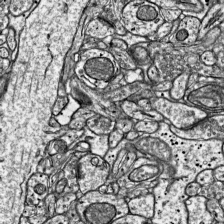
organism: Mouse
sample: Visual Cortex